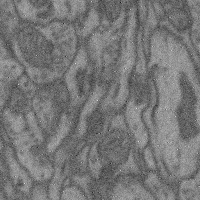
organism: Mouse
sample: Cerebral cortex